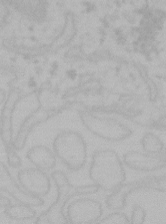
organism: Mouse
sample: Choroid plexus